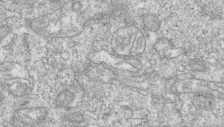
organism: Human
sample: HeLa cell HIV synapse